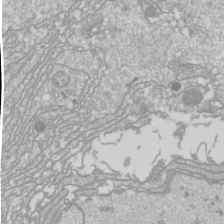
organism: Drosophila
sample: Cell division; meiosis; drosophila spermatocytes